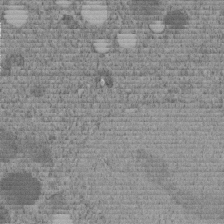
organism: C. elegans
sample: C. elegans embryo early stage